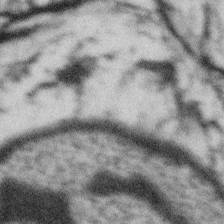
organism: Gemmata obscuriglobus